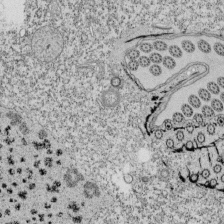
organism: Tetrahymena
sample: Cilia in tetrahymena